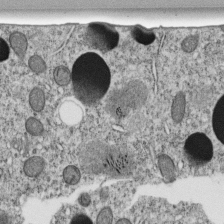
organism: C. elegans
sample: C. elegans embryo early stage